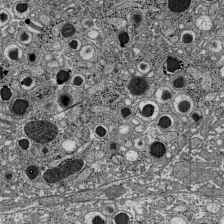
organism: C57BL Mouse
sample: Pancreatic islet